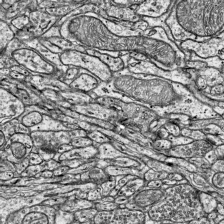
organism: Mouse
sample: Visual Cortex